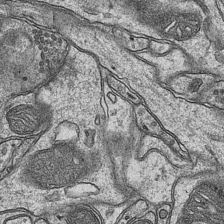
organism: Mouse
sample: CA1 Hippocampus